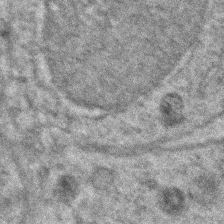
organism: Zebrafish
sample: Zebrafish embryo